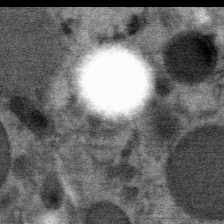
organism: Mouse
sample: Mouse Salivary gland